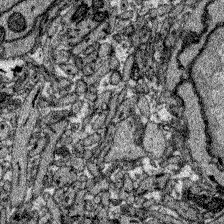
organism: Zebrafish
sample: Larval olfactory bulb